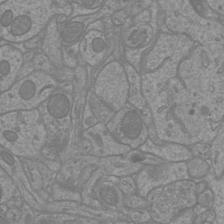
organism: Mouse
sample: Cortical neurons